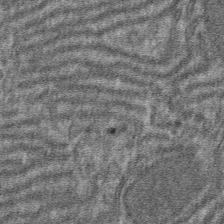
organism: Mouse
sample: Mouse hepatocytes